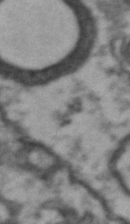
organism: Drosophila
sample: Brain